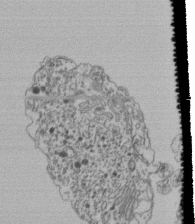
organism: Human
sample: Retinal organoid Rod and Cone cells